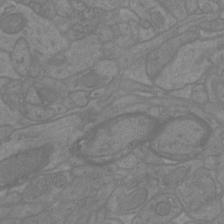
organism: Mouse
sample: Cortical neurons